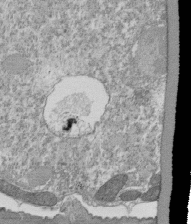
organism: Tetrahymena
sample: Cilia in tetrahymena